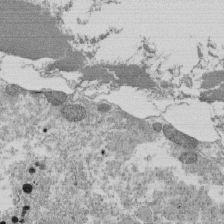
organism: Tetrahymena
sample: Cilia in tetrahymena